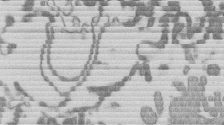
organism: Mouse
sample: Dividing mouse embryo 1 cell stage